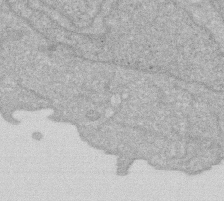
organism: Human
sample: HIV infected U937 cells